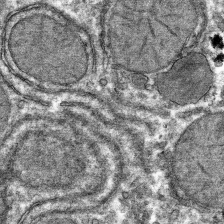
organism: Mouse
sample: Mouse hepatocytes